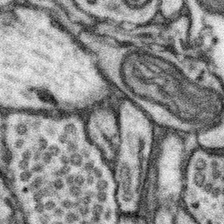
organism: Mouse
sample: Somatosensory cortex neuropil